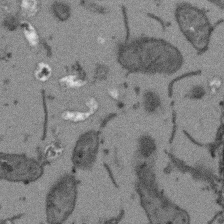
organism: Arabidopsis thaliana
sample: Root tip